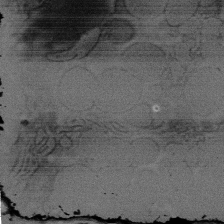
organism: Rat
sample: Salivary granule